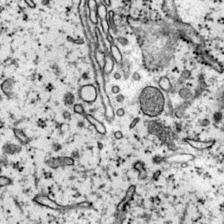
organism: Mouse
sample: Primary visual cortex